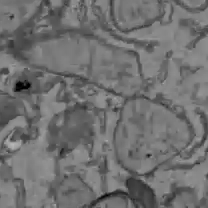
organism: C57BL Mouse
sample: Liver